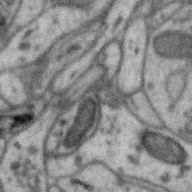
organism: Zebra finch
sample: Brain